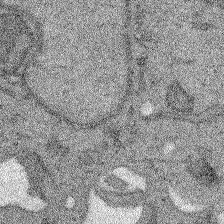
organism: Human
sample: HeLa cells